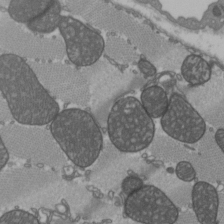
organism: C57BL Mouse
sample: Heart